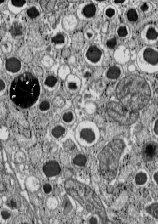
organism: C57BL Mouse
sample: Pancreatic islet